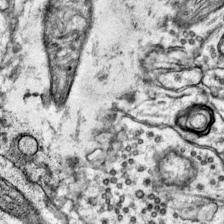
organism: Mouse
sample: Primary visual cortex